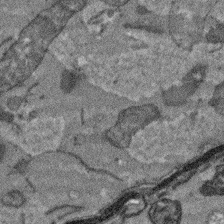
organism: Arabidopsis thaliana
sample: Root tip